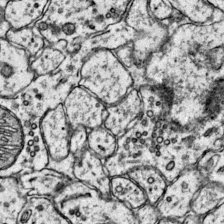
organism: Mouse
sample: Primary visual cortex